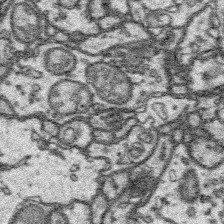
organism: Platynereis dumerilii